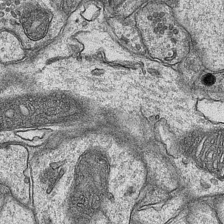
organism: Mouse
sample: CA1 Hippocampus